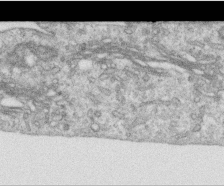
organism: Human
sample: Centriole in RPE cells